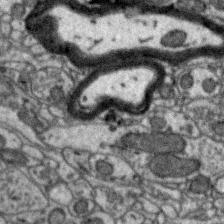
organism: Zebra finch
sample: Brain